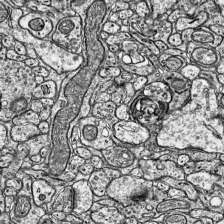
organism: Mouse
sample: Visual Cortex